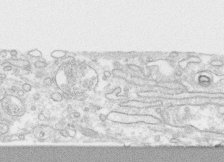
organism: Human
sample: CRL-1474